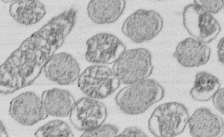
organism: E. coli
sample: Bacterial nucleoid